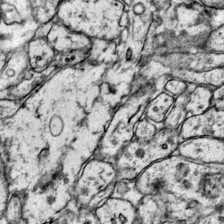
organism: Mouse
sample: Primary visual cortex